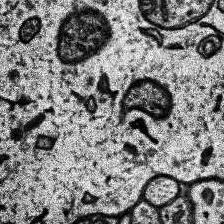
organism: Human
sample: Temporal Lobe